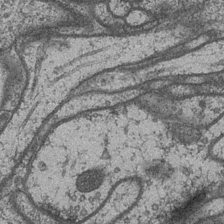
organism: Drosophila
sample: Optic medulla